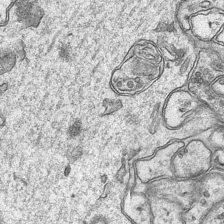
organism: Mouse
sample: CA1 Hippocampus